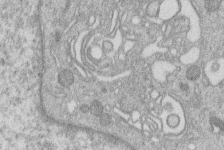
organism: Human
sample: Macrophage cells